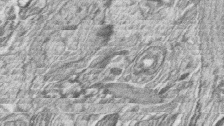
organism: Zebrafish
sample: synaptic ribbons in rod cells and cone cells